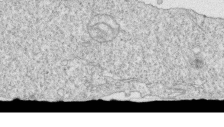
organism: Human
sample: HeLa cell HIV synapse